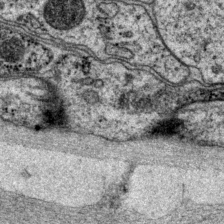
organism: P. pacificus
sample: Pharynx